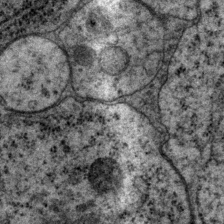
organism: P. pacificus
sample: Pharynx